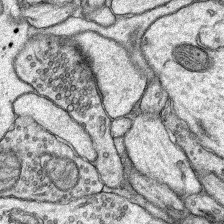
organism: Rat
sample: Hippocampus